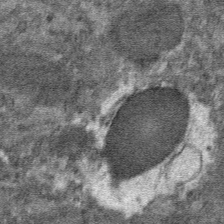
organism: Mouse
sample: Mouse hepatocytes